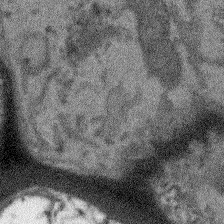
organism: Arabidopsis thaliana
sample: Root tip